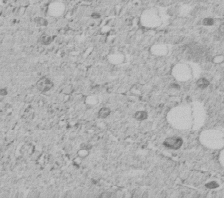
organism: C. elegans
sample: C. elegans embryo early stage